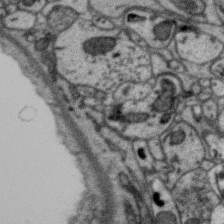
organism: Zebra finch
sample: Brain